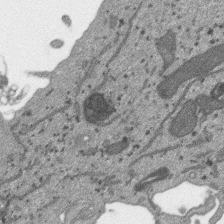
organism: Human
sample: Lung epithelial cells infected with SARS-CoV-2